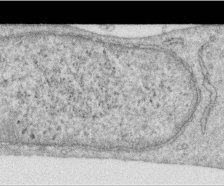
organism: Human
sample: Centriole in RPE cells